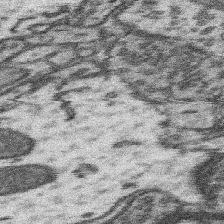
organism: Mouse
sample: Somatosensory cortex neuropil